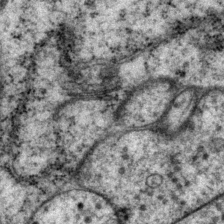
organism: P. pacificus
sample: Pharynx